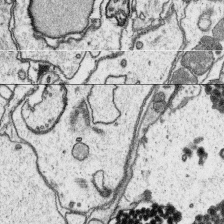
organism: Platynereis dumerilii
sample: Parapodia